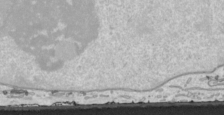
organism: Human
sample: Mitochondria in HCT116 cells